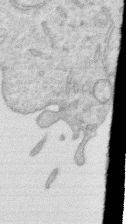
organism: Human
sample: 1205lu cells